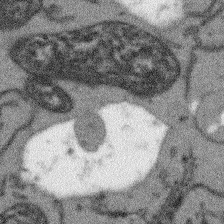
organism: Arabidopsis thaliana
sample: Root tip